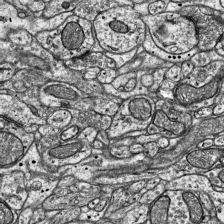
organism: Mouse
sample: Visual Cortex